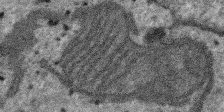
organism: Human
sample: Lung epithelial cells infected with SARS-CoV-2